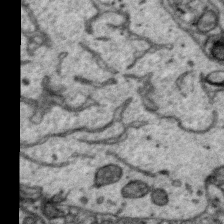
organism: Zebra finch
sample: Brain